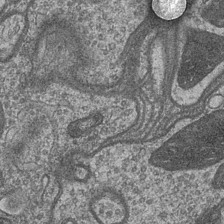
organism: Drosophila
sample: Optic medulla